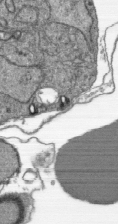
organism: Plasmodium falciparum